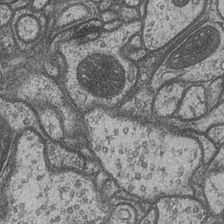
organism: Drosophila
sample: Optic medulla